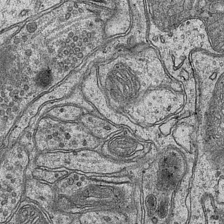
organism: Mouse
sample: CA1 Hippocampus